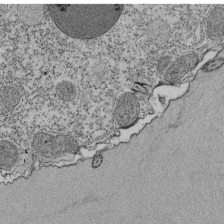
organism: Tetrahymena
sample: Cilia in tetrahymena